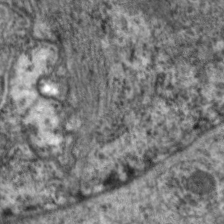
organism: C. elegans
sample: Pharynx